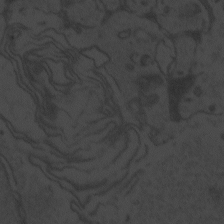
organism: Zebrafish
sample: Macrophage infected with Toxoplasma gondii